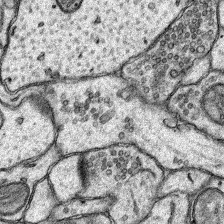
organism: Rat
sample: Hippocampus